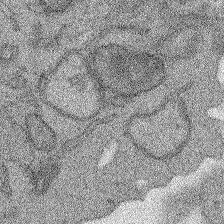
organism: Human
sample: HeLa cells